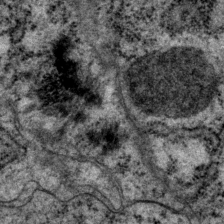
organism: P. pacificus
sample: Pharynx